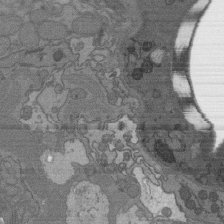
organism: C. elegans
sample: AFD neurons C. elegans